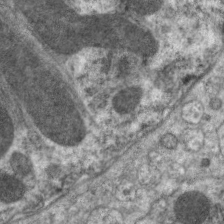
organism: C. elegans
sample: Pharynx